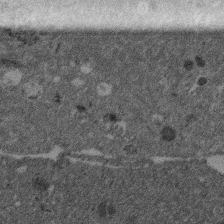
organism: Mouse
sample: Dividing mouse embryo 1 cell stage